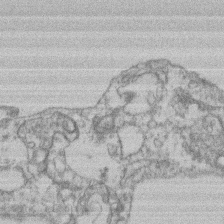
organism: Mouse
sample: T cell stromal cell synapse